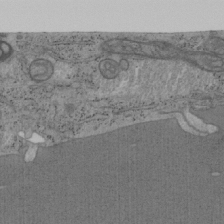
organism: Human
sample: HeLa cells